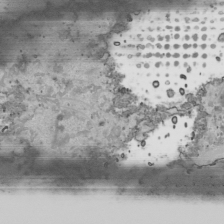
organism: Human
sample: Mitochondria in HCT116 cells